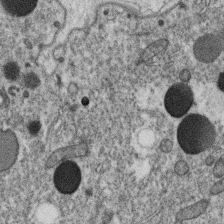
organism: C. elegans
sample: C. elegans oocyte; sperm cells